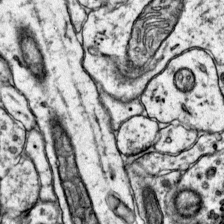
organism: Mouse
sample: Primary visual cortex